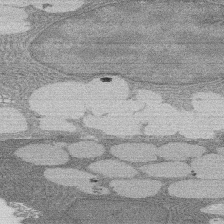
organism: Rat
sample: Salivary granule